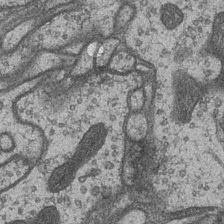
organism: Drosophila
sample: Optic medulla